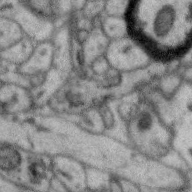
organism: Zebra finch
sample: Brain